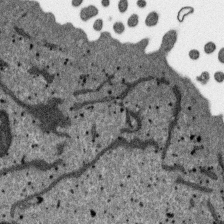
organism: Human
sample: Lung epithelial cells, uninfected (mock) control